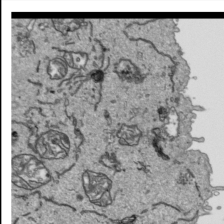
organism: Human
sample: Mitochondria in HCT116 cells